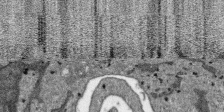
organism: Human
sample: Lung epithelial cells, uninfected (mock) control